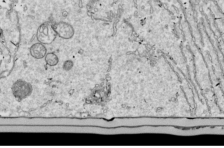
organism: Drosophila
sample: Cell division; meiosis; drosophila spermatocytes